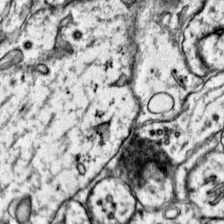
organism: Mouse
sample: Primary visual cortex